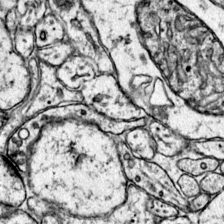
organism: Mouse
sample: Primary visual cortex